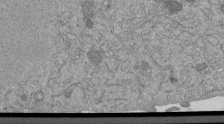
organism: Mouse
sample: ED-1 cell nuclei; centrioles